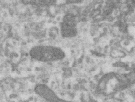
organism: Human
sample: Centriole in RPE cells